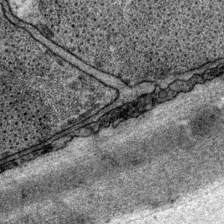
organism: P. pacificus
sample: Pharynx